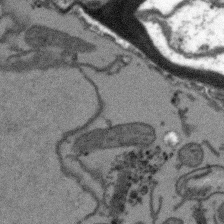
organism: Arabidopsis thaliana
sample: Root tip